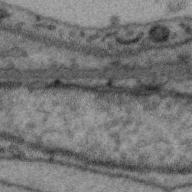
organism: Zebra finch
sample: Brain